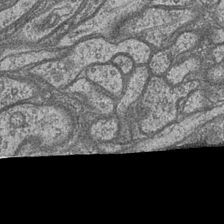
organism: Drosophila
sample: Optic medulla